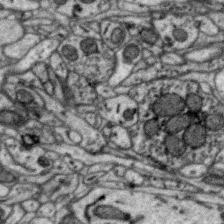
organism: Zebra finch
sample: Brain